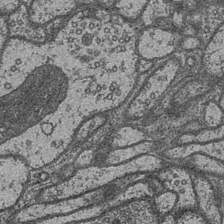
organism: Drosophila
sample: Optic medulla